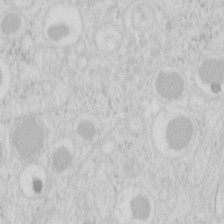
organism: Mouse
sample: Pancreas